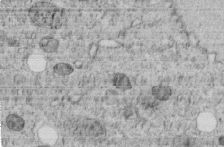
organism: C. elegans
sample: C. elegans embryo early stage